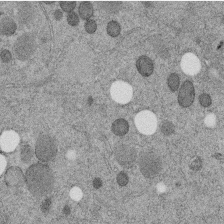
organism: C. elegans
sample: C. elegans embryo early stage